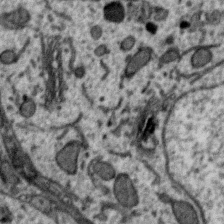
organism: Zebra finch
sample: Brain